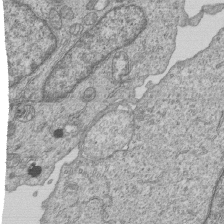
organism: Human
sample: MDA-MB-231 cells